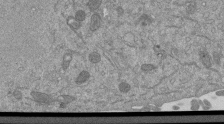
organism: Mouse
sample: ED-1 cell nuclei; centrioles